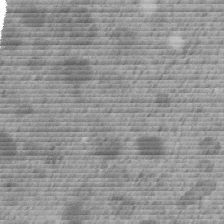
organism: C. elegans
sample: C. elegans embryo early stage